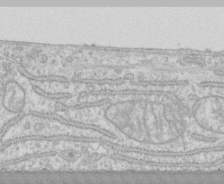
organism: Human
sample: CRL-1474